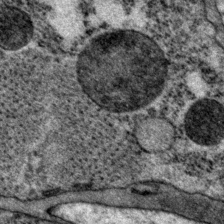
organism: P. pacificus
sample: Pharynx